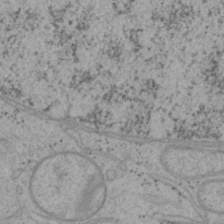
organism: Human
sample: HeLa cells